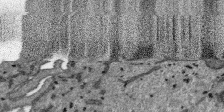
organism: Human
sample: Lung epithelial cells, uninfected (mock) control